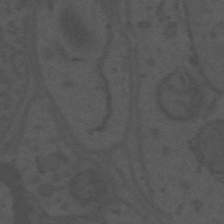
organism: Mouse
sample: Suprachiasmatic nucleus